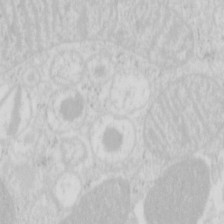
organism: Mouse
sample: Pancreas